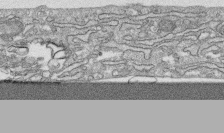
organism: Human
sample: CRL-1474